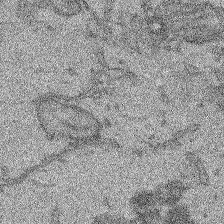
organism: Human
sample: HeLa cells